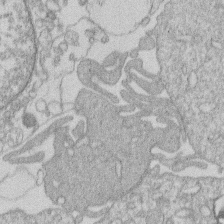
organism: Human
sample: Macrophage cells